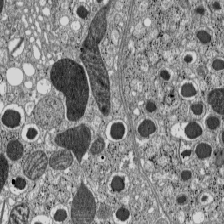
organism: C57BL Mouse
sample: Pancreatic islet